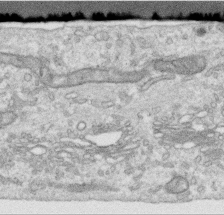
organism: Human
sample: Centriole in RPE cells